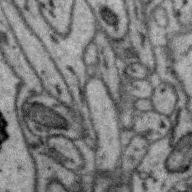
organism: Zebra finch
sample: Brain